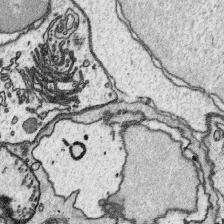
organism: Platynereis dumerilii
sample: Parapodia